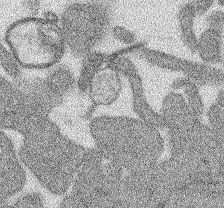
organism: Human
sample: HeLa cells